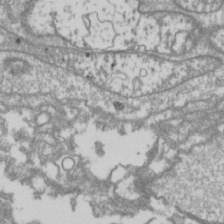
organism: Drosophila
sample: Cell division; meiosis; drosophila spermatocytes